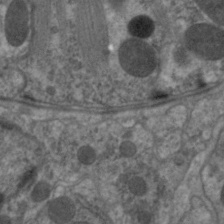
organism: C. elegans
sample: Pharynx